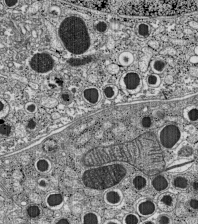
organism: C57BL Mouse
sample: Pancreatic islet